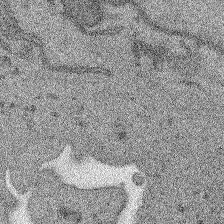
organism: Human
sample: HeLa cells